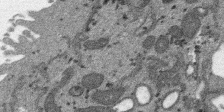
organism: Human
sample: Lung epithelial cells infected with SARS-CoV-2